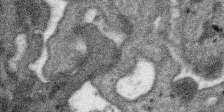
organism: Human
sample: Lung epithelial cells infected with SARS-CoV-2